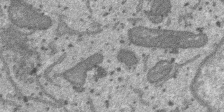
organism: Human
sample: Lung epithelial cells infected with SARS-CoV-2